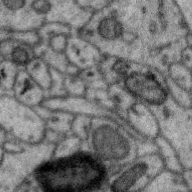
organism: Zebra finch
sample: Brain